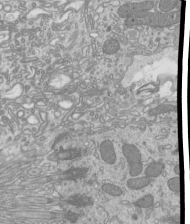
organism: Mouse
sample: Cilia; mouse epididymis